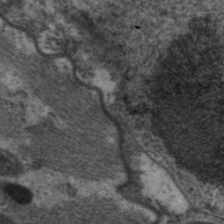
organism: C. elegans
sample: Pharynx